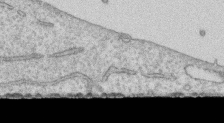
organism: Human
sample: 1205lu cells